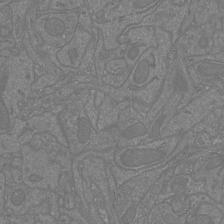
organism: Mouse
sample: Cortical neurons